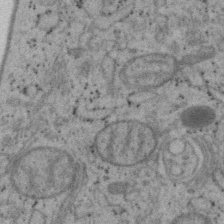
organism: Human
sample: HeLa cells